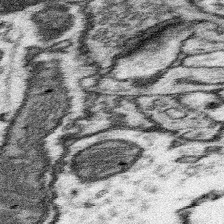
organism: Mouse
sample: Somatosensory cortex neuropil